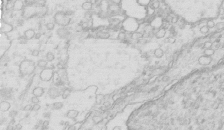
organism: Mouse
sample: Multiciliated cells